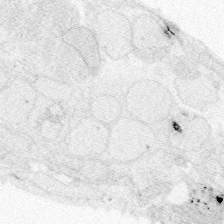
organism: Zebrafish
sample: Whole-Brain